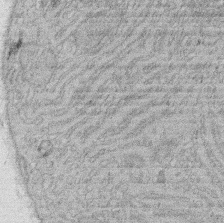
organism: Rat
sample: Salivary granule